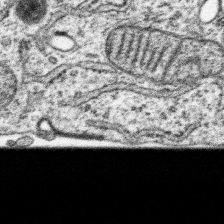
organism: Human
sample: HeLa cells